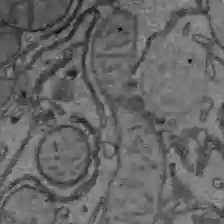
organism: C57BL Mouse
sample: Liver